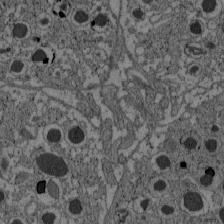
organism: C57BL Mouse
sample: Pancreatic islet